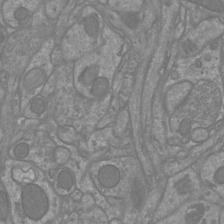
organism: Mouse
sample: Cortical neurons